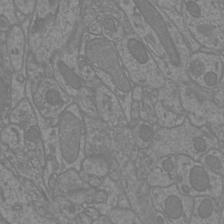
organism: Mouse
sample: Cortical neurons